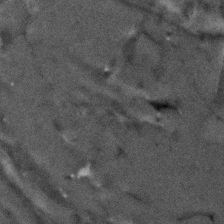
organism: Human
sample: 1205lu cells